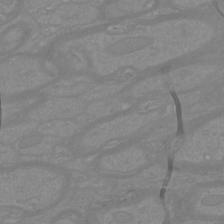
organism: Mouse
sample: Cortical neurons